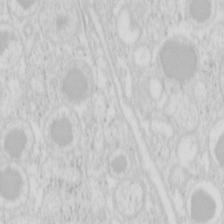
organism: Mouse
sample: Pancreas